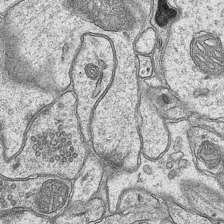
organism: Mouse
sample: CA1 Hippocampus